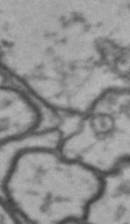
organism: Drosophila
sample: Brain